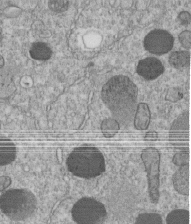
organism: C. elegans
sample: C. elegans embryo early stage